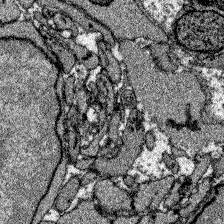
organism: Zebrafish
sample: Larval olfactory bulb